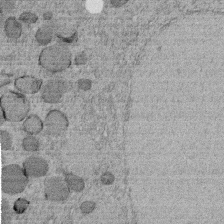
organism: C. elegans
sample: C. elegans embryo early stage